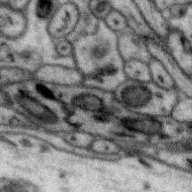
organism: Zebra finch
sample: Brain